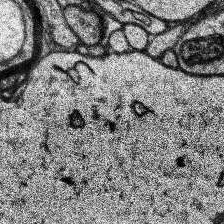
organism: Human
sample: Temporal Lobe